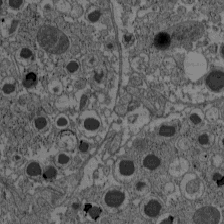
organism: C57BL Mouse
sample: Pancreatic islet